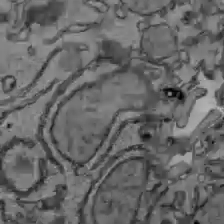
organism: C57BL Mouse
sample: Liver